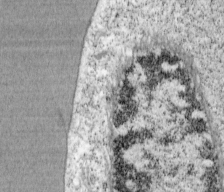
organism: African green monkey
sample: COS-7 cells